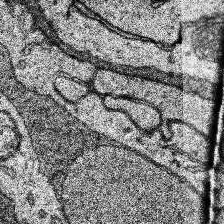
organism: Human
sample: Temporal Lobe